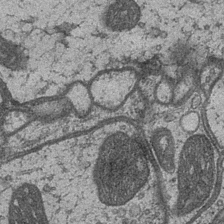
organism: Drosophila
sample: Optic medulla